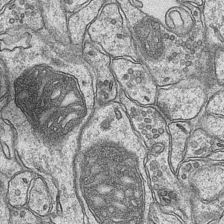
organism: Mouse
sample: CA1 Hippocampus